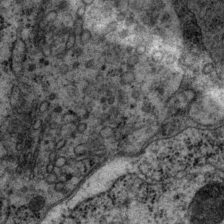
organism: P. pacificus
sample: Pharynx